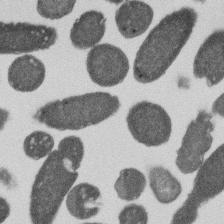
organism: E. coli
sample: Bacterial nucleoid